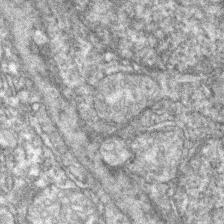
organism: Zebrafish